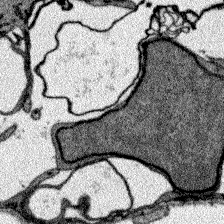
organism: Zebrafish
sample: Larval olfactory bulb